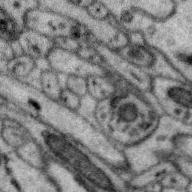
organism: Zebra finch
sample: Brain